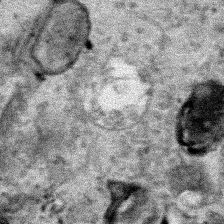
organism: Human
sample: Mitochondria in HCT116 cells